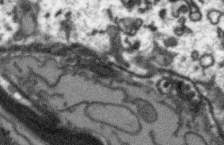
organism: Arabidopsis thaliana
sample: Root tip